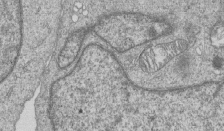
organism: Human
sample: MDA-MB-231 cells